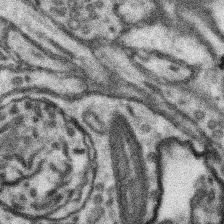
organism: Mouse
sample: Somatosensory cortex neuropil